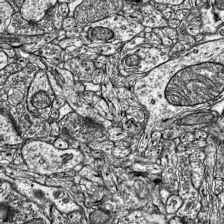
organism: Mouse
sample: Visual Cortex